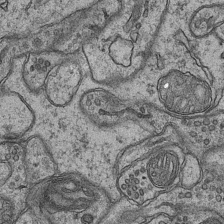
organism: Mouse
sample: CA1 Hippocampus